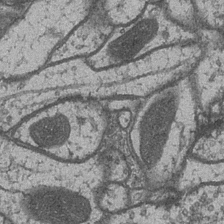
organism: Drosophila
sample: Optic medulla